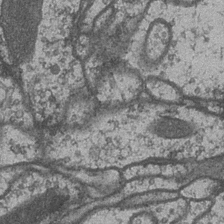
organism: Drosophila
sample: Optic medulla